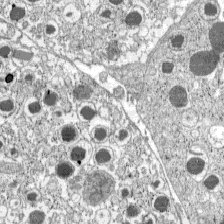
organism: C57BL Mouse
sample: Pancreatic islet